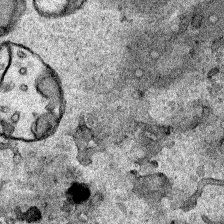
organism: Human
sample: Mitochondria in HCT116 cells